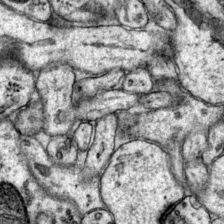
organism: Mouse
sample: Primary visual cortex